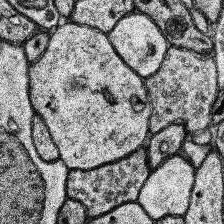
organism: Human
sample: Temporal Lobe